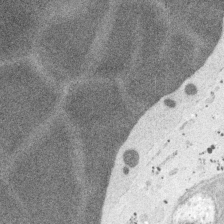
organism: Embia sp.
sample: Silk gland